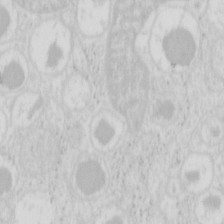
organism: Mouse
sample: Pancreas